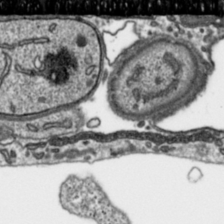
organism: Toxoplasma gondii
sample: Parasites in a vacuole inside a host cell